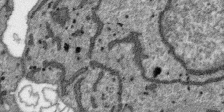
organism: Human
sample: Lung epithelial cells, uninfected (mock) control